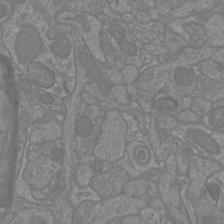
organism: Mouse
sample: Cortical neurons